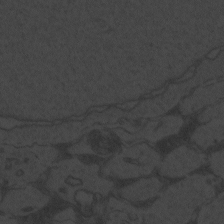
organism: Zebrafish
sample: Macrophage infected with Toxoplasma gondii